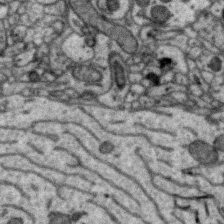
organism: Zebra finch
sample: Brain